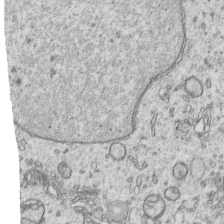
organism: Human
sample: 1205lu cells